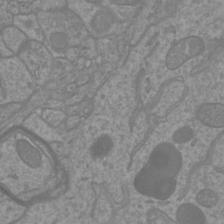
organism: Mouse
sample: Cortical neurons